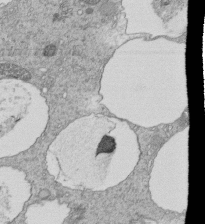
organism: Tetrahymena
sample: Cilia in tetrahymena